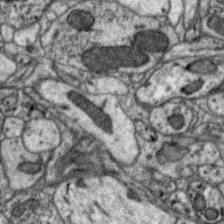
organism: Zebra finch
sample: Brain